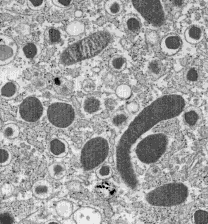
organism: C57BL Mouse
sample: Pancreatic islet